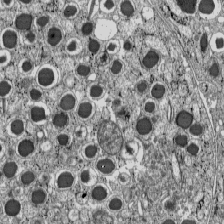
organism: C57BL Mouse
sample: Pancreatic islet